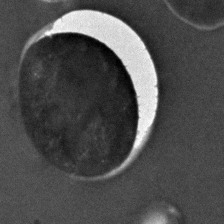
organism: C. elegans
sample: C. elegans embryo